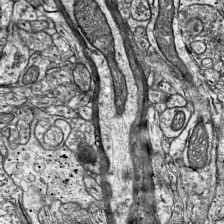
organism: Mouse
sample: Visual Cortex